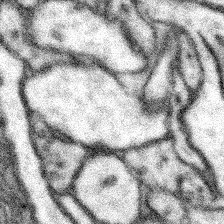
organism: Mouse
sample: Somatosensory cortex neuropil